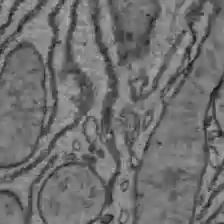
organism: C57BL Mouse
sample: Liver